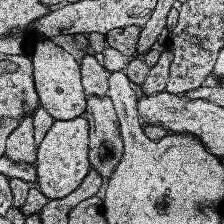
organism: Human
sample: Temporal Lobe